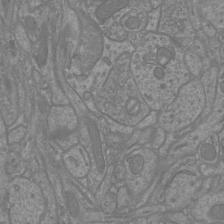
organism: Mouse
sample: Cortical neurons